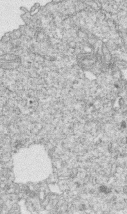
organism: Human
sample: HeLa cell HIV synapse